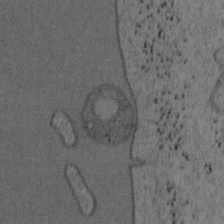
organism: Human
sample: HeLa cells